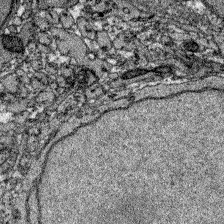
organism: Zebrafish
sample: Larval olfactory bulb